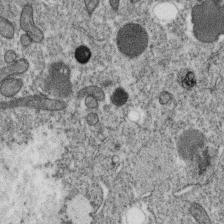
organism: C. elegans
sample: C. elegans oocyte; sperm cells